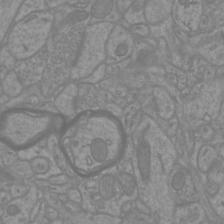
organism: Mouse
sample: Cortical neurons